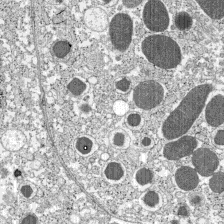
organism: C57BL Mouse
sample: Pancreatic islet